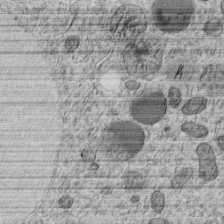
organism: C. elegans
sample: C. elegans embryo early stage